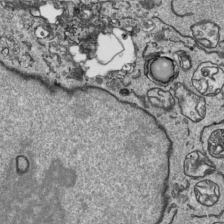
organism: Human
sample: Mitochondria in HCT116 cells